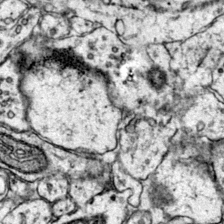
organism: Mouse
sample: Primary visual cortex